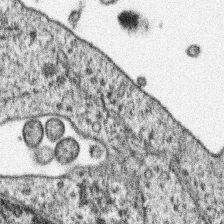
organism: Human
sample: HeLa cells